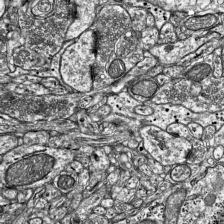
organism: Mouse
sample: Visual Cortex